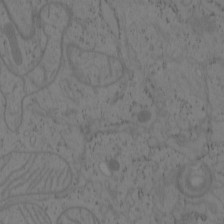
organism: Human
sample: HeLa cells